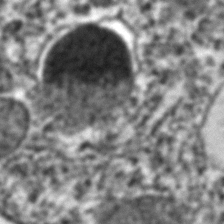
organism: C. elegans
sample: C. elegans embryo